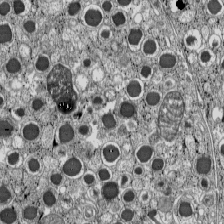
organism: C57BL Mouse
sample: Pancreatic islet